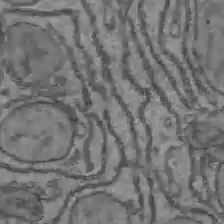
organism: C57BL Mouse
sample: Liver